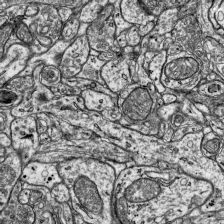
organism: Mouse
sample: Visual Cortex